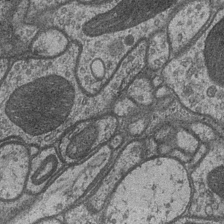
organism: Drosophila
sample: Optic medulla